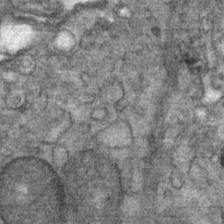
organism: Mouse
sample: Mouse Salivary gland